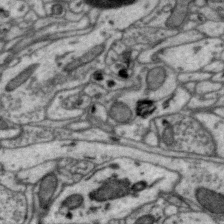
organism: Zebra finch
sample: Brain